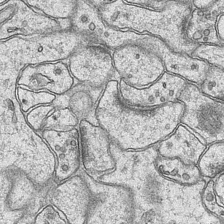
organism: Mouse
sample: CA1 Hippocampus